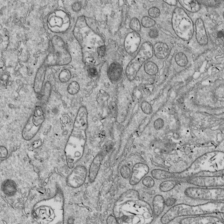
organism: Drosophila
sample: Cell division; meiosis; drosophila spermatocytes